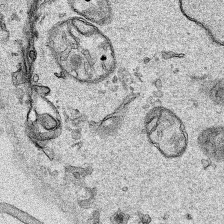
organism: Human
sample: Mitochondria in HCT116 cells